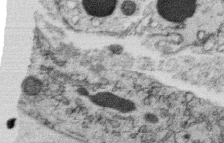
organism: C. elegans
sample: C. elegans oocyte; sperm cells